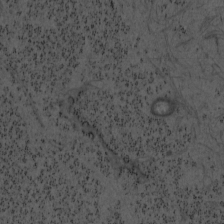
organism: Mouse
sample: OT-I killer T cells with ID8 ovarian cancer cells